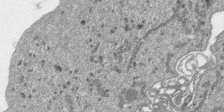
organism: Human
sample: Lung epithelial cells infected with SARS-CoV-2